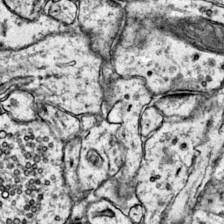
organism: Mouse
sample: Primary visual cortex